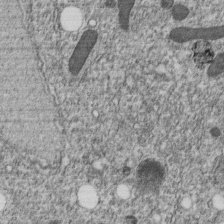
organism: C. elegans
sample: C. elegans embryo early stage